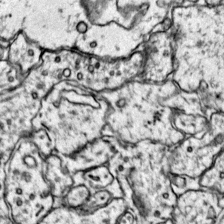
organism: Mouse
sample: Primary visual cortex